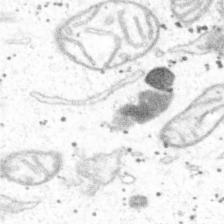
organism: Human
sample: HeLa cells